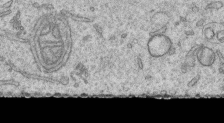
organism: Human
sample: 1205lu cells